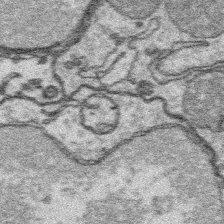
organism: Platynereis dumerilii